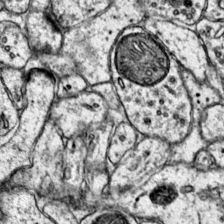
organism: Mouse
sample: Primary visual cortex